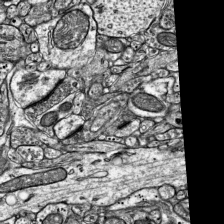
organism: Mouse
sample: Visual Cortex